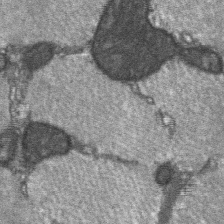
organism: C57BL Mouse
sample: Soleus